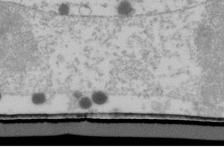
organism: Human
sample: U2-OS cells